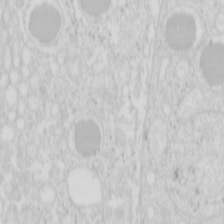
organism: Mouse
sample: Pancreas